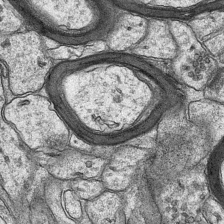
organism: Mouse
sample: CA1 Hippocampus